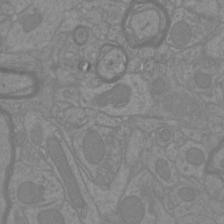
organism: Mouse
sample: Cortical neurons